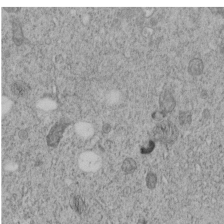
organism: C. elegans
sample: C. elegans embryo early stage